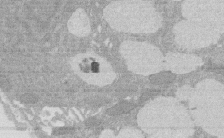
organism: Rat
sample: Salivary granule